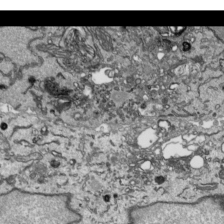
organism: Human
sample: Mitochondria in HCT116 cells